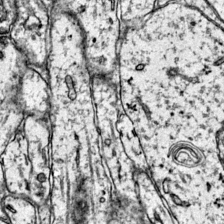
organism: Mouse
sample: Primary visual cortex